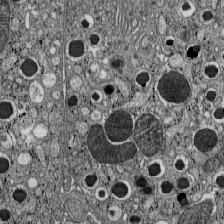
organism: C57BL Mouse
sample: Pancreatic islet